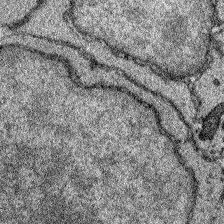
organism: Zebrafish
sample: Larval olfactory bulb